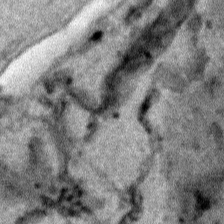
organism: Human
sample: Mitochondria in HCT116 cells